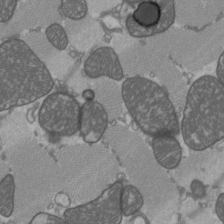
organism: C57BL Mouse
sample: Heart